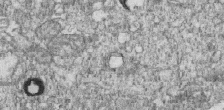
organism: Human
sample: HeLa cell HIV synapse